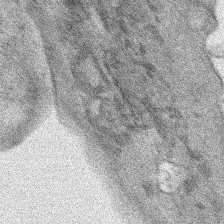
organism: Human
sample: Mitochondria in HCT116 cells